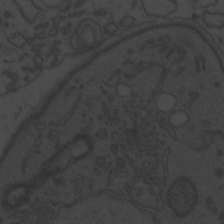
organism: Zebrafish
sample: Macrophage infected with Toxoplasma gondii